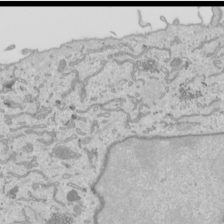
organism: Human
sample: Mitochondria in HCT116 cells